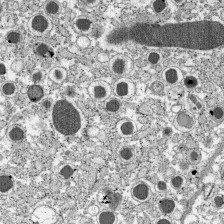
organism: C57BL Mouse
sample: Pancreatic islet